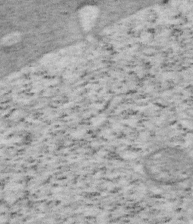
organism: Mouse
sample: OT-I killer T cells with ID8 ovarian cancer cells